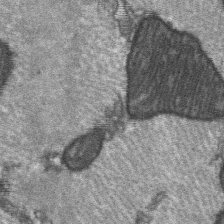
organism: C57BL Mouse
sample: Soleus